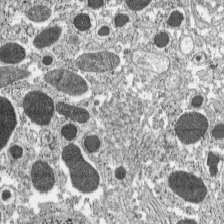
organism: C57BL Mouse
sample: Pancreatic islet